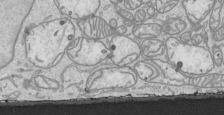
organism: Human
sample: Mitochondria in HCT116 cells